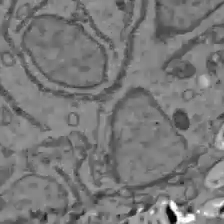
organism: C57BL Mouse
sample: Liver